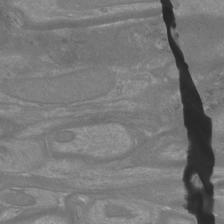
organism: Mouse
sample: Cortical neurons